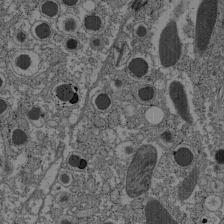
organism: C57BL Mouse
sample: Pancreatic islet